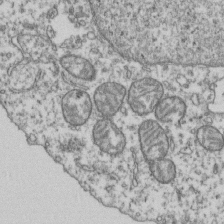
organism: Human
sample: Activated Jurkat CD4+ T cells